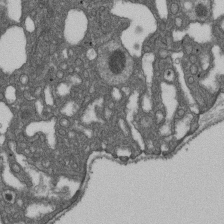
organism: Drosophila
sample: Nephrocyte